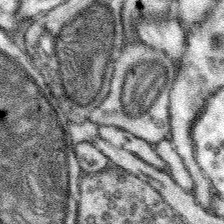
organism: Mouse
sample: Somatosensory cortex neuropil